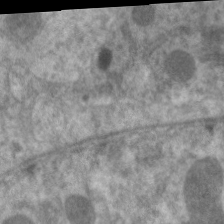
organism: C. elegans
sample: Pharynx